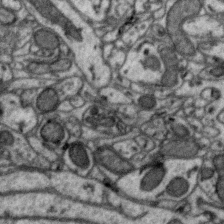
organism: Zebra finch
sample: Brain